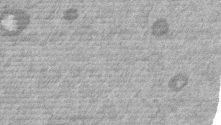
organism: Mouse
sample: Dividing mouse embryo 1 cell stage